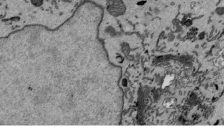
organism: Mouse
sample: ED-1 cell nuclei; centrioles